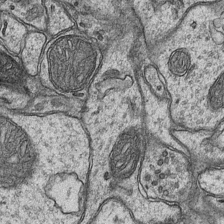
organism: Mouse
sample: CA1 Hippocampus